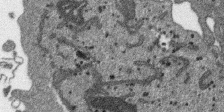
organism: Human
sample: Lung epithelial cells infected with SARS-CoV-2